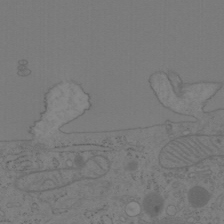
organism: Human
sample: HeLa cells